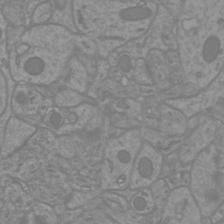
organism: Mouse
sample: Cortical neurons